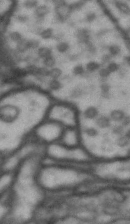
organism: Drosophila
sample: Brain